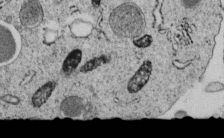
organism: C. elegans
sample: C. elegans embryo early stage